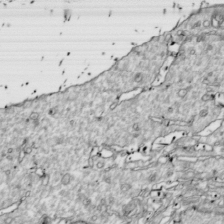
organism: Drosophila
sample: Cell division; meiosis; drosophila spermatocytes